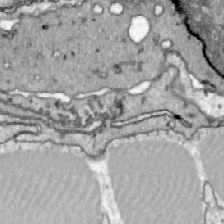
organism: Zebrafish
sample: Actinotrichia fibers